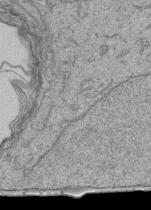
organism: Human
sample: Retinal organoid Rod and Cone cells